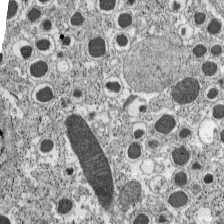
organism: C57BL Mouse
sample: Pancreatic islet